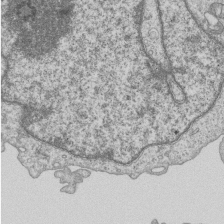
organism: Human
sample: MDA-MB-231 cells